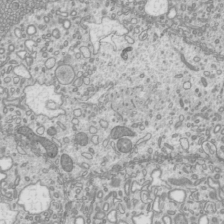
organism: Mouse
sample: Cilia; mouse epididymis